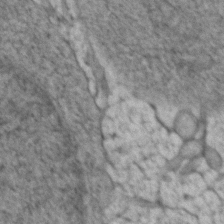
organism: Zebrafish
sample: Zebrafish embryo